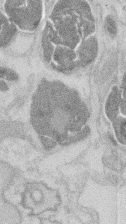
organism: Mouse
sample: T cell stromal cell synapse